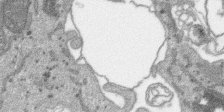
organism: Human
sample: Lung epithelial cells infected with SARS-CoV-2